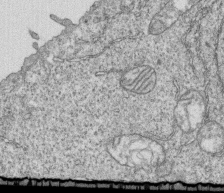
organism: Human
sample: HeLa cell HIV synapse